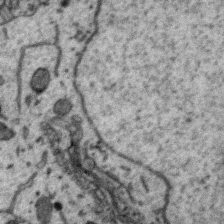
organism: Zebra finch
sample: Brain